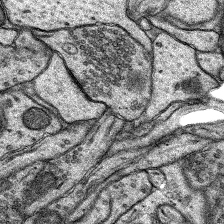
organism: Rat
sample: Hippocampus